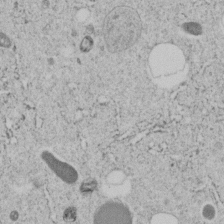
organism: C. elegans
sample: C. elegans embryo early stage